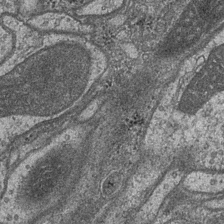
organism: Drosophila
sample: Optic medulla